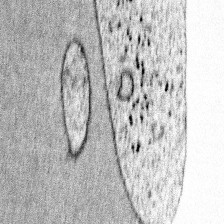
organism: Human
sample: HeLa cells